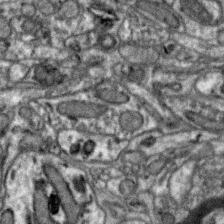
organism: Zebra finch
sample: Brain